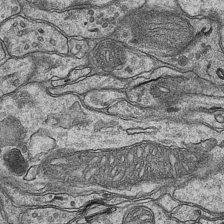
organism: Mouse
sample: CA1 Hippocampus